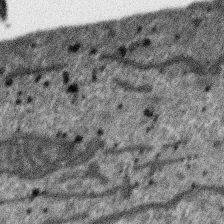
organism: Human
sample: Lung epithelial cells infected with SARS-CoV-2